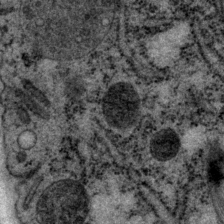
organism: P. pacificus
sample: Pharynx